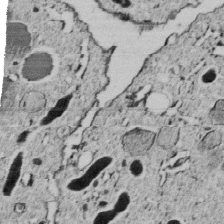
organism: C. elegans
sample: C. elegans embryo early stage